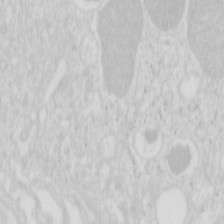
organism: Mouse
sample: Pancreas